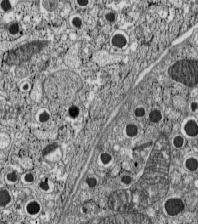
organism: C57BL Mouse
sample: Pancreatic islet